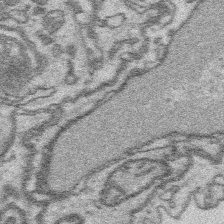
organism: Platynereis dumerilii